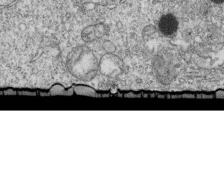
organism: Human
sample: HeLa cell HIV synapse